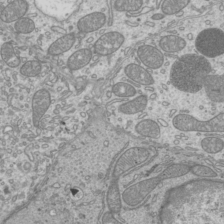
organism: Mouse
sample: Cilia; mouse epididymis